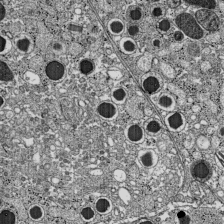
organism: C57BL Mouse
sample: Pancreatic islet